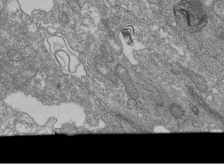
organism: Human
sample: Retinal organoid Rod and Cone cells